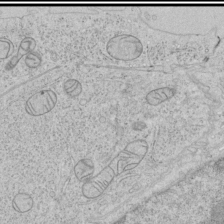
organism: Human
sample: Mitochondria in HCT116 cells